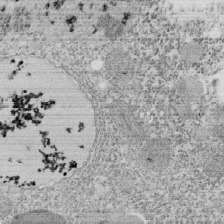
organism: Tetrahymena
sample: Cilia in tetrahymena